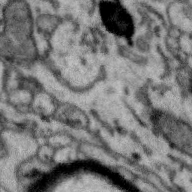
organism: Zebra finch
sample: Brain